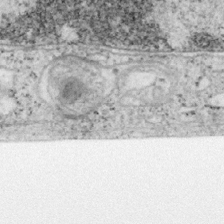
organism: Mouse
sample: OT-I killer T cells with ID8 ovarian cancer cells